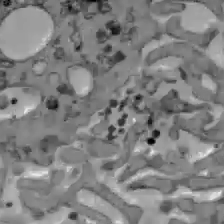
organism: C57BL Mouse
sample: Liver